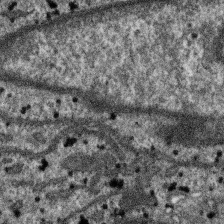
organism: Human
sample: Lung epithelial cells infected with SARS-CoV-2